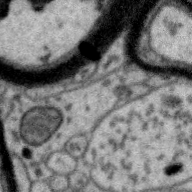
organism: Zebra finch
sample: Brain